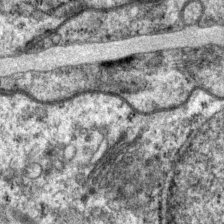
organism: P. pacificus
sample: Pharynx